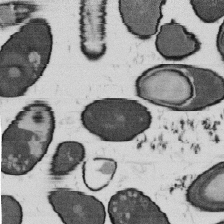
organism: B. subtilis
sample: Bacterial spore